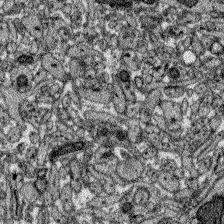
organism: Zebrafish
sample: Larval olfactory bulb